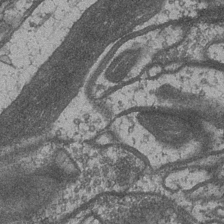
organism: Drosophila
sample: Optic medulla